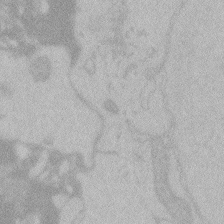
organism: Zebrafish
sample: Macrophage infected with Toxoplasma gondii